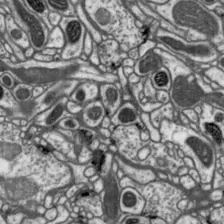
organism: Drosophila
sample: Protocerebral bridge